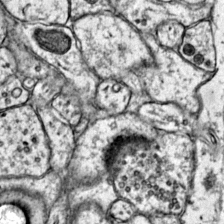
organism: Mouse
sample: Primary visual cortex